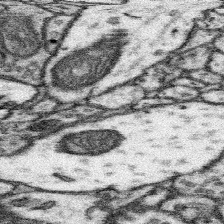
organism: Mouse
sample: Somatosensory cortex neuropil